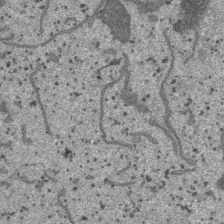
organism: Human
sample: Lung epithelial cells infected with SARS-CoV-2